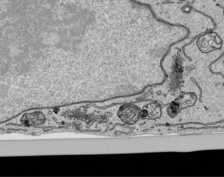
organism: Human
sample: Mitochondria in HCT116 cells